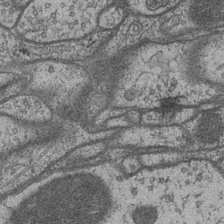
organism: Drosophila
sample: Optic medulla